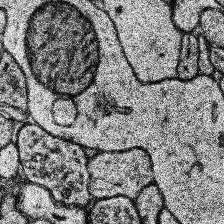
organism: Human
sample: Temporal Lobe